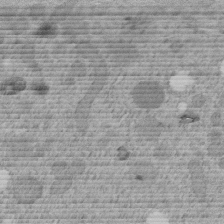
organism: C. elegans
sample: C. elegans embryo early stage